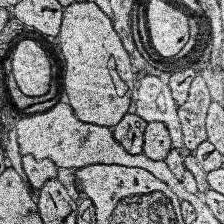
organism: Human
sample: Temporal Lobe